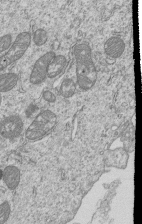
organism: Human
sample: MDA-MB-231 cells